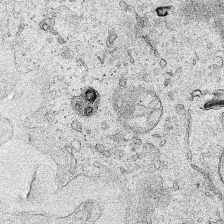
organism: Human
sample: Mitochondria in HCT116 cells